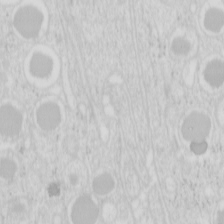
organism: Mouse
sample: Pancreas